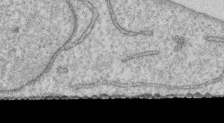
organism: Human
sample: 1205lu cells